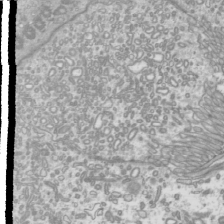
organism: Mouse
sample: Cilia; mouse epididymis